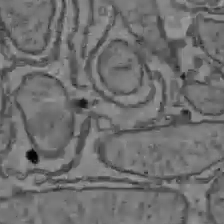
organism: C57BL Mouse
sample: Liver